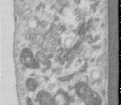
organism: Human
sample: Centriole in RPE cells